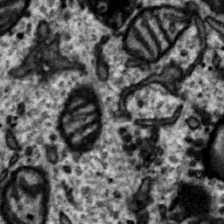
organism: Human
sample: HeLa cells